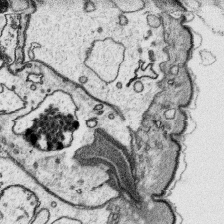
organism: Platynereis dumerilii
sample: Parapodia